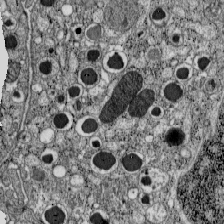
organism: C57BL Mouse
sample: Pancreatic islet